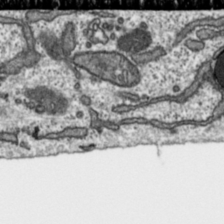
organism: Toxoplasma gondii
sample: Parasites in a vacuole inside a host cell